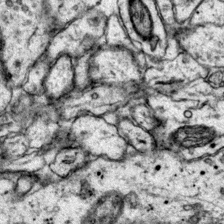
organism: Mouse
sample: Primary visual cortex